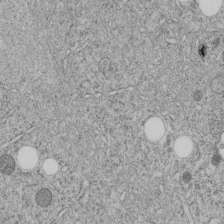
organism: C. elegans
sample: C. elegans embryo early stage